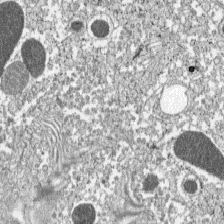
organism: C57BL Mouse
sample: Pancreatic islet